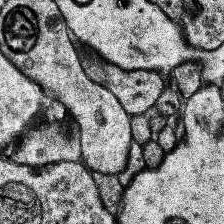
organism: Human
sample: Temporal Lobe